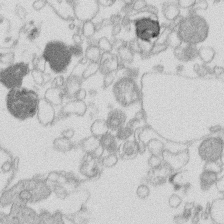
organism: Human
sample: Macrophage cells